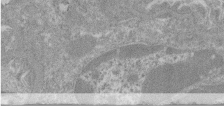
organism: Mouse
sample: Glomerulus